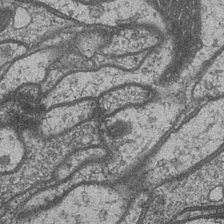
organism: Drosophila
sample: Optic medulla